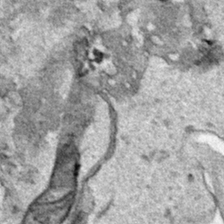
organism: Human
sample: Mitochondria in HCT116 cells